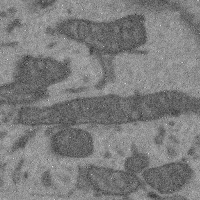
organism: Mouse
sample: Cerebral cortex